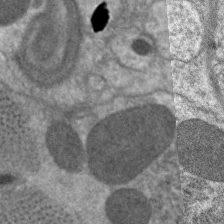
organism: C. elegans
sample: Pharynx